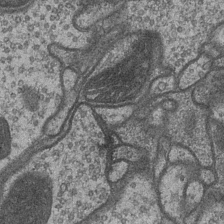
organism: Drosophila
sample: Optic medulla